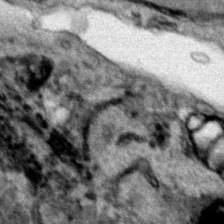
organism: Human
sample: Mitochondria in HCT116 cells